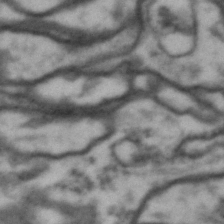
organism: Drosophila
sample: Brain